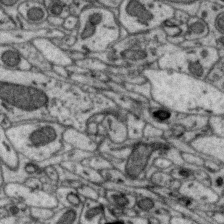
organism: Zebra finch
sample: Brain